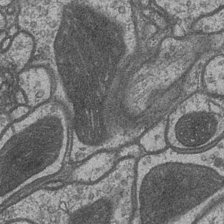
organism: Drosophila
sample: Optic medulla